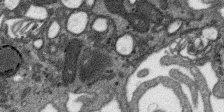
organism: Human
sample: Lung epithelial cells infected with SARS-CoV-2